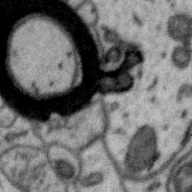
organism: Zebra finch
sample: Brain